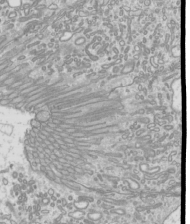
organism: Mouse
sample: Cilia; mouse epididymis